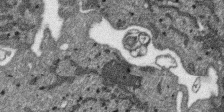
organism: Human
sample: Lung epithelial cells infected with SARS-CoV-2